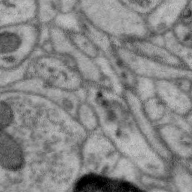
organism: Zebra finch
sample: Brain